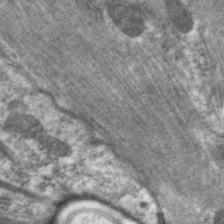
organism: C. elegans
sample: Pharynx